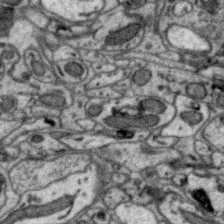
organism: Zebra finch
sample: Brain